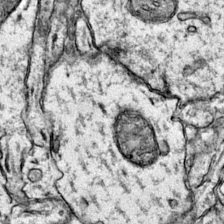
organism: Mouse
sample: Primary visual cortex